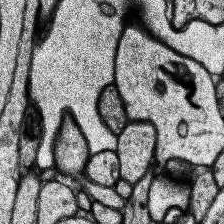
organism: Human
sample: Temporal Lobe